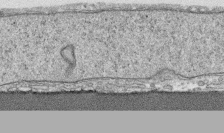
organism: Human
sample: CRL-1474